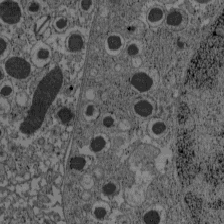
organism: C57BL Mouse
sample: Pancreatic islet